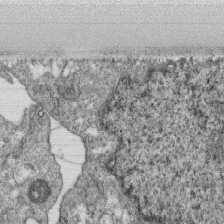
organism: African green monkey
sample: Vero E6 cells infected with SARS-CoV-2